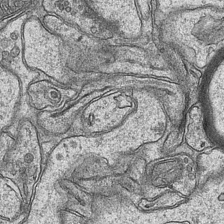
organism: Mouse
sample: CA1 Hippocampus